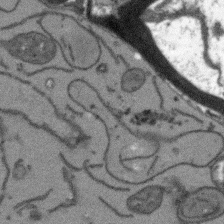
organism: Arabidopsis thaliana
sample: Root tip